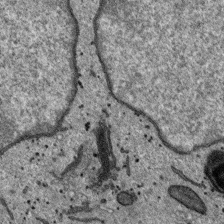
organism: Human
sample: Lung epithelial cells, uninfected (mock) control